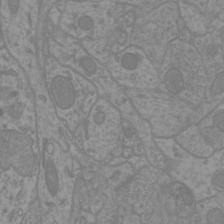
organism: Mouse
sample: Cortical neurons